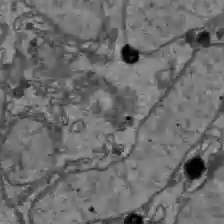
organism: C57BL Mouse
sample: Liver